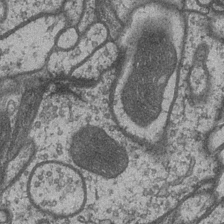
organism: Drosophila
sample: Optic medulla